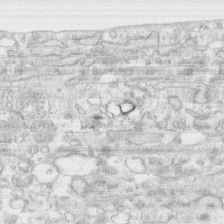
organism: Human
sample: CRL-1474